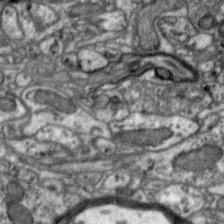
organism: Zebra finch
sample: Brain